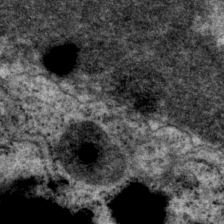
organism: P. pacificus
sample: Pharynx